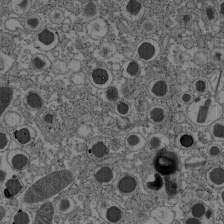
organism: C57BL Mouse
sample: Pancreatic islet